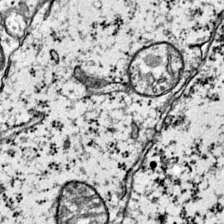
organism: Mouse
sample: Primary visual cortex